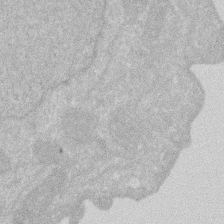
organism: Human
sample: HIV infected U937 cells